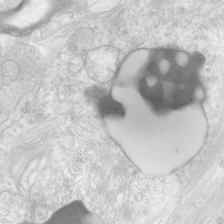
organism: Human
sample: Neocortex